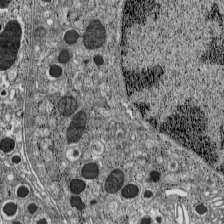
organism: C57BL Mouse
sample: Pancreatic islet